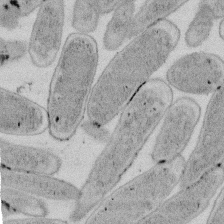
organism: E. coli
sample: Bacterial nucleoid